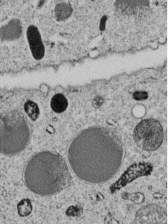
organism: C. elegans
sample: C. elegans embryo early stage